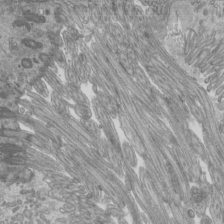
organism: Mouse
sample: Cilia; mouse epididymis